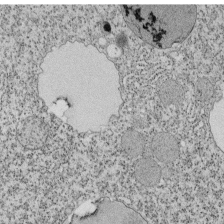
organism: Tetrahymena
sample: Cilia in tetrahymena